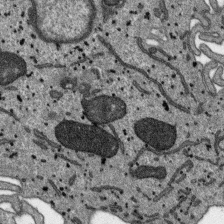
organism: Human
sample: Lung epithelial cells, uninfected (mock) control